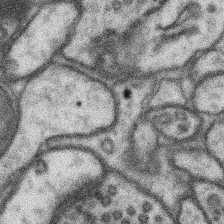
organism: Mouse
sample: Somatosensory cortex neuropil